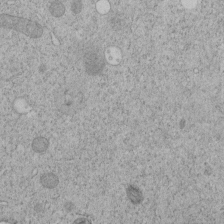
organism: C. elegans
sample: C. elegans embryo early stage